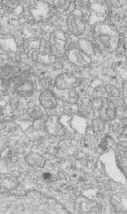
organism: Human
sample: HeLa cell HIV synapse